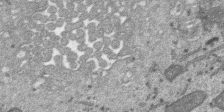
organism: Human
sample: Lung epithelial cells infected with SARS-CoV-2